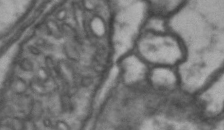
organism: Drosophila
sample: Brain